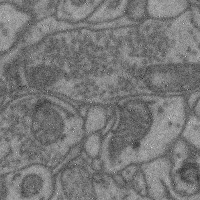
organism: Mouse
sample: Cerebral cortex